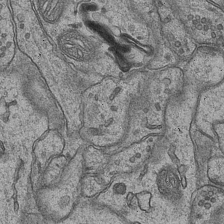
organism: Mouse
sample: CA1 Hippocampus